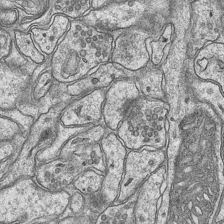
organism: Mouse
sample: CA1 Hippocampus